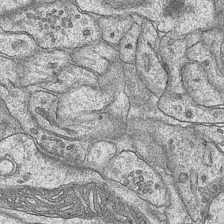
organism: Mouse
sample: CA1 Hippocampus